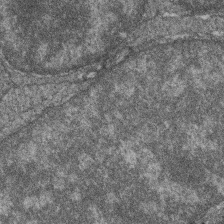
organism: Zebrafish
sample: Cilia; retinal pigment epithelium